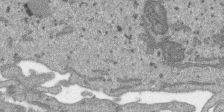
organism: Human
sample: Lung epithelial cells infected with SARS-CoV-2